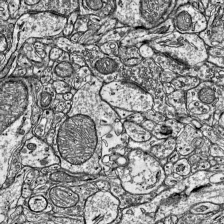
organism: Mouse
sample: Visual Cortex